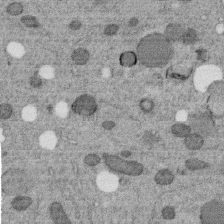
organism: C. elegans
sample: C. elegans embryo early stage